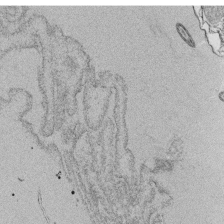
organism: Tetrahymena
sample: Cilia in tetrahymena